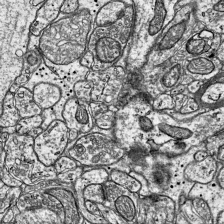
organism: Mouse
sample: Visual Cortex